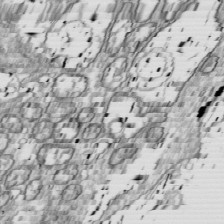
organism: Drosophila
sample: Cell division; meiosis; drosophila spermatocytes